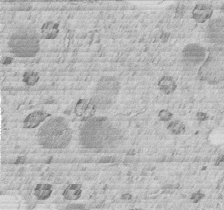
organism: C. elegans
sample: C. elegans embryo early stage